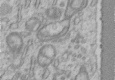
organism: Human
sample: Centriole in RPE cells